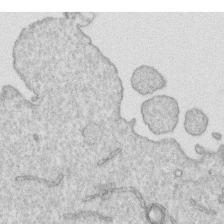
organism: Human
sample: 1205lu cells